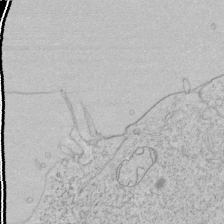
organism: Human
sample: Mitochondria in HCT116 cells